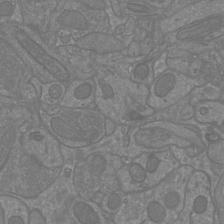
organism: Mouse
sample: Cortical neurons